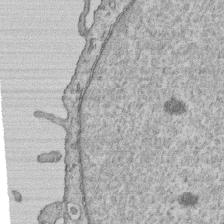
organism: Human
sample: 1205lu cells